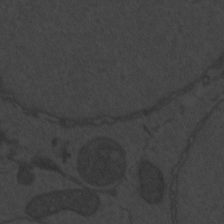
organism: Zebrafish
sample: Macrophage infected with Toxoplasma gondii